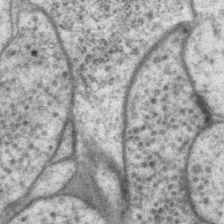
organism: P. pacificus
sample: Pharynx